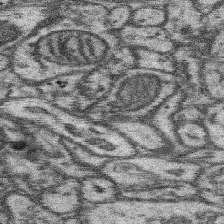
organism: Mouse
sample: Somatosensory cortex neuropil